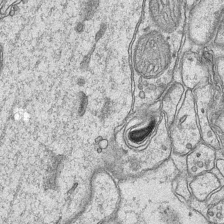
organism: Mouse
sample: CA1 Hippocampus